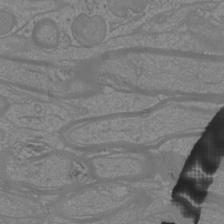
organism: Mouse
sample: Cortical neurons